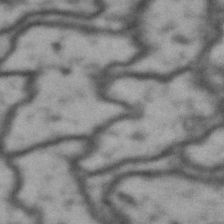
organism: Drosophila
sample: Brain